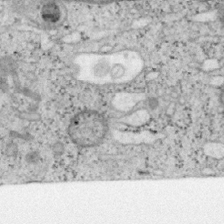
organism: Mouse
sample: OT-I killer T cells with ID8 ovarian cancer cells